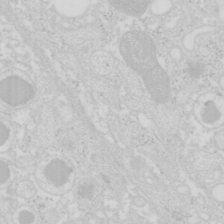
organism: Mouse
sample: Pancreas